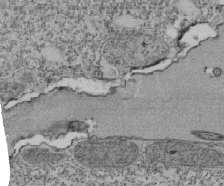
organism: Tetrahymena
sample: Cilia in tetrahymena